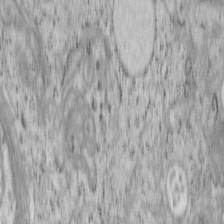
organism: Human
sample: HeLa cells